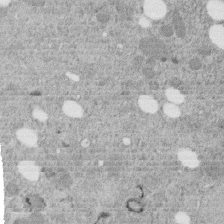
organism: C. elegans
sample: C. elegans embryo early stage